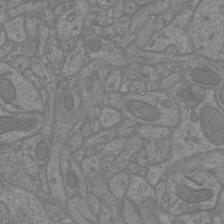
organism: Mouse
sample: Cortical neurons